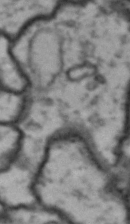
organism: Drosophila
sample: Brain